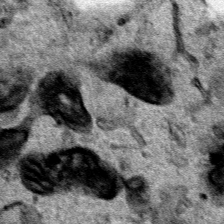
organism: Human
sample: Mitochondria in HCT116 cells